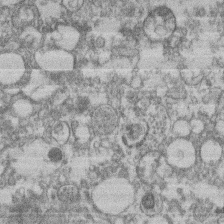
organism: Mouse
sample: T cell stromal cell synapse